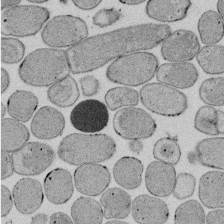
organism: E. coli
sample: Bacterial nucleoid